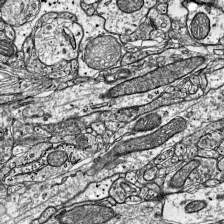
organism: Mouse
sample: Visual Cortex